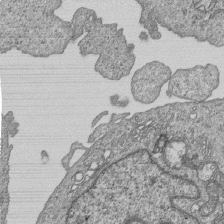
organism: Human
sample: MDA-MB-231 cells